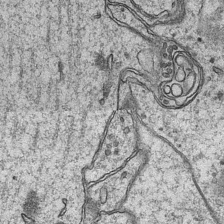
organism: Mouse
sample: CA1 Hippocampus